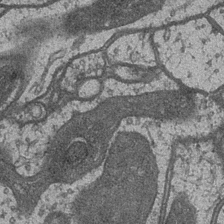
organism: Drosophila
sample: Optic medulla